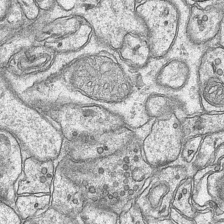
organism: Mouse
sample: CA1 Hippocampus